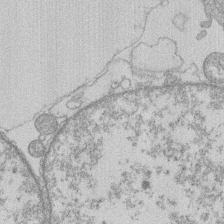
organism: Human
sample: Macrophage cells